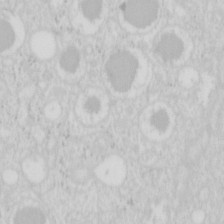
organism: Mouse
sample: Pancreas